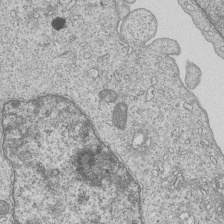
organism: Human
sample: MDA-MB-231 cells